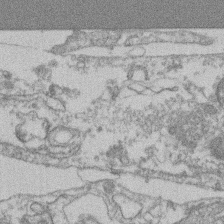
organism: Mouse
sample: T cell stromal cell synapse